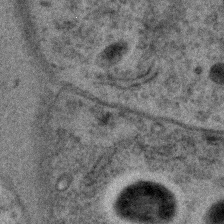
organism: C. elegans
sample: C. elegans embryo